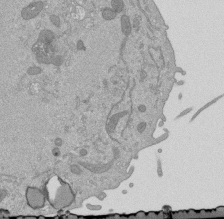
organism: Mouse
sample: ED-1 cell nuclei; centrioles